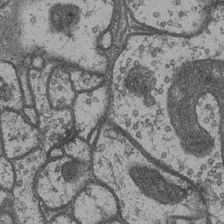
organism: Drosophila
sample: Optic medulla